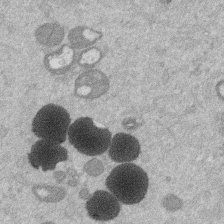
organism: Mouse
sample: Dividing mouse embryo 1 cell stage